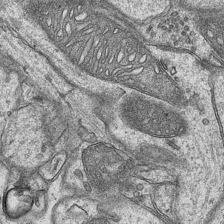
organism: Mouse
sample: CA1 Hippocampus